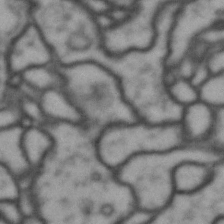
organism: Drosophila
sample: Brain